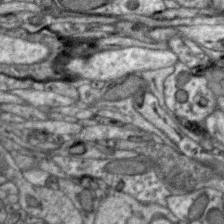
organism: Zebra finch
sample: Brain